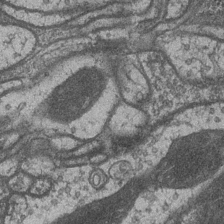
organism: Drosophila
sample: Optic medulla